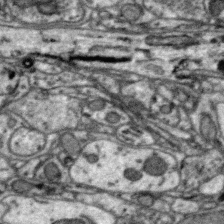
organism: Zebra finch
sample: Brain